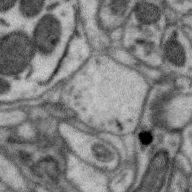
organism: Zebra finch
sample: Brain